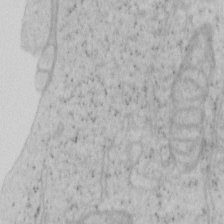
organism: Human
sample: HeLa cells